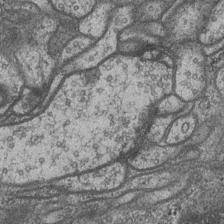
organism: Drosophila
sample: Optic medulla